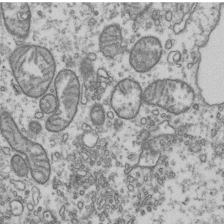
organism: Human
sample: Activated Jurkat CD4+ T cells